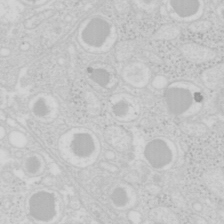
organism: Mouse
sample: Pancreas